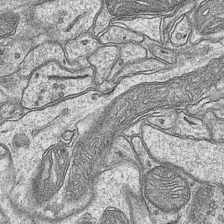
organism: Mouse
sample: CA1 Hippocampus